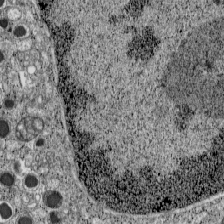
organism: C57BL Mouse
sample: Pancreatic islet